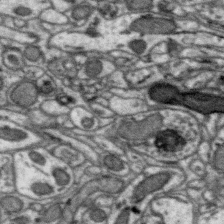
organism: Zebra finch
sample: Brain